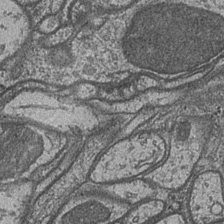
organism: Drosophila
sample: Optic medulla